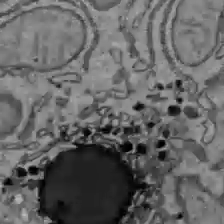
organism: C57BL Mouse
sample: Liver